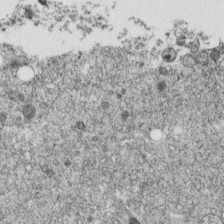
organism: C. elegans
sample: C. elegans embryo early stage